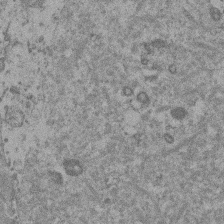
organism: Mouse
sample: Dividing mouse embryo 1 cell stage